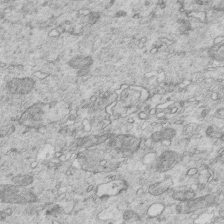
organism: Mouse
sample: Multiciliated cells